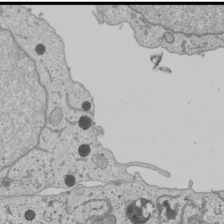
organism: Human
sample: Mitochondria in U2OS cells